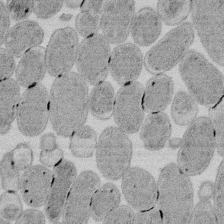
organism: E. coli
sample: Bacterial nucleoid